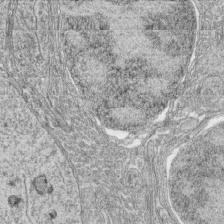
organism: Zebrafish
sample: synaptic ribbons in rod cells and cone cells